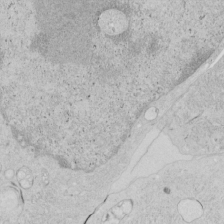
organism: Human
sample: Mitochondria in HCT116 cells